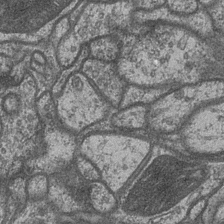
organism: Drosophila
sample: Optic medulla